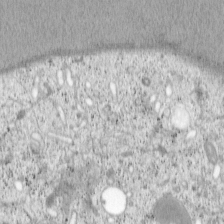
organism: African green monkey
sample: COS-7 cells